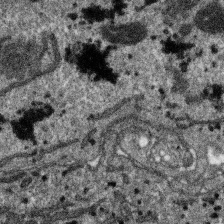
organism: Human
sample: Lung epithelial cells infected with SARS-CoV-2